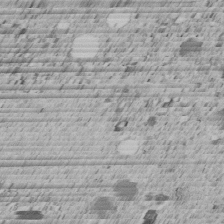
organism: C. elegans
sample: C. elegans embryo early stage